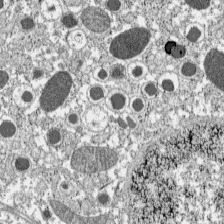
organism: C57BL Mouse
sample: Pancreatic islet